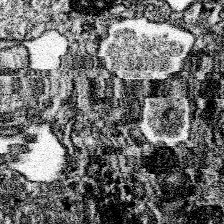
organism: Spongilla lacustris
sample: Neuroid cell